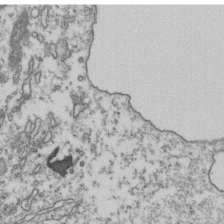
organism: Human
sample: Activated Jurkat CD4+ T cells